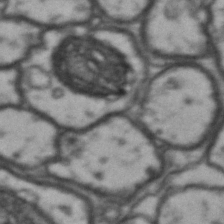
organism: Drosophila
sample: Brain